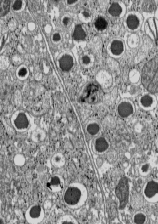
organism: C57BL Mouse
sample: Pancreatic islet